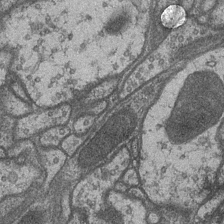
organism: Drosophila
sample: Optic medulla